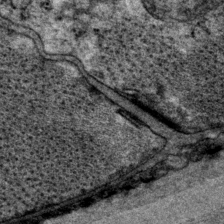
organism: P. pacificus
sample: Pharynx